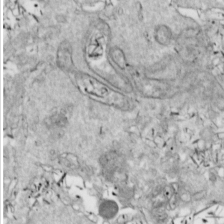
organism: Drosophila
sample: Cell division; meiosis; drosophila spermatocytes